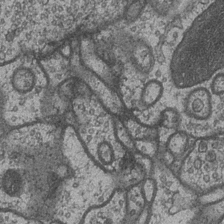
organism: Drosophila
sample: Optic medulla